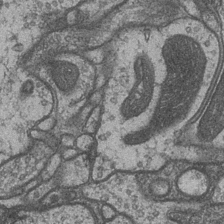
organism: Drosophila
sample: Optic medulla